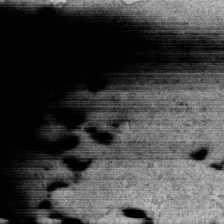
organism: Mouse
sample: Activated OT-1 CD8+ T cells